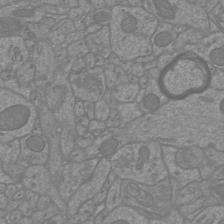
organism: Mouse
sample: Cortical neurons